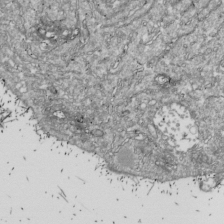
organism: Drosophila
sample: Cell division; meiosis; drosophila spermatocytes